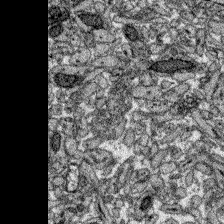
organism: Zebrafish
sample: Larval olfactory bulb